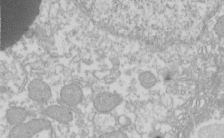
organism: Xenopus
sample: Cilia; centrioles in frog embryo cells